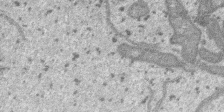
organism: Human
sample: Lung epithelial cells infected with SARS-CoV-2